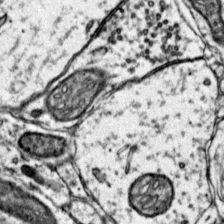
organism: Mouse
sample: Primary visual cortex